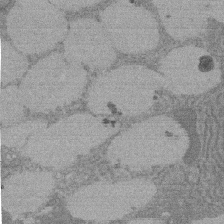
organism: Rat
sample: Salivary granule